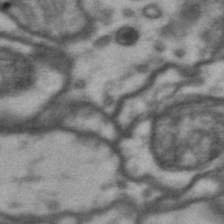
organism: Drosophila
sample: Brain